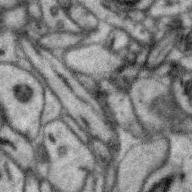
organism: Zebra finch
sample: Brain